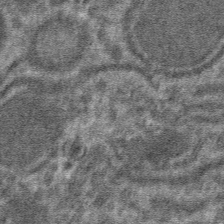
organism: Mouse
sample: Mouse hepatocytes